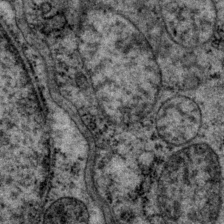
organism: P. pacificus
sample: Pharynx